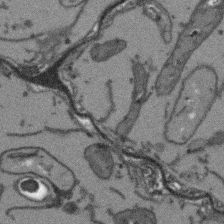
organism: Arabidopsis thaliana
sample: Root tip